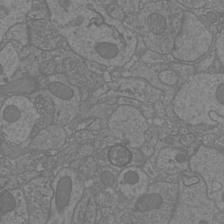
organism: Mouse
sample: Cortical neurons